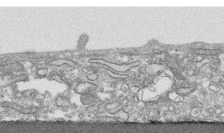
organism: Human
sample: CRL-1474